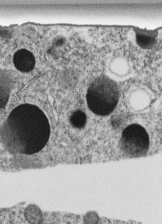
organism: C. elegans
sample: C. elegans embryo early stage